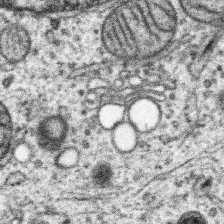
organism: Human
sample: HeLa cells